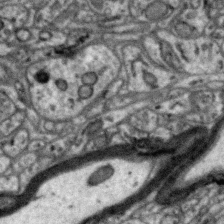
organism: Zebra finch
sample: Brain